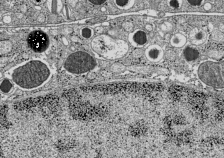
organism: C57BL Mouse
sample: Pancreatic islet